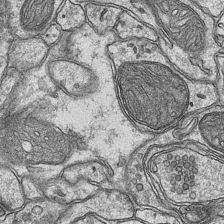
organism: Mouse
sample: CA1 Hippocampus